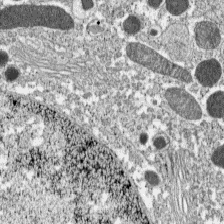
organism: C57BL Mouse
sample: Pancreatic islet